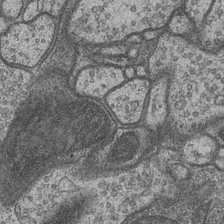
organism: Drosophila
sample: Optic medulla